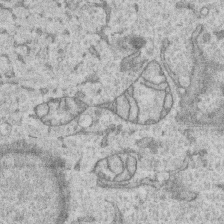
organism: Human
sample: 1205lu cells